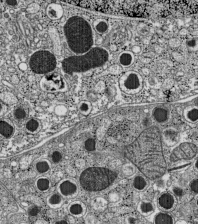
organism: C57BL Mouse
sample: Pancreatic islet